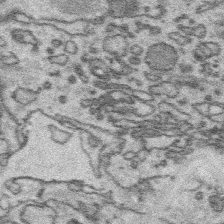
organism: Platynereis dumerilii